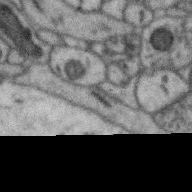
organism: Zebra finch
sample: Brain